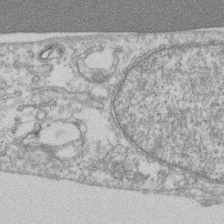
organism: Mouse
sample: T cell stromal cell synapse